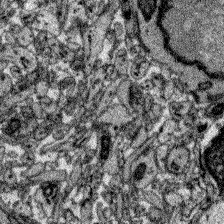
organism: Zebrafish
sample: Larval olfactory bulb